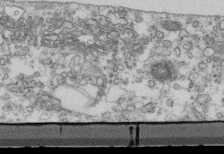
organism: Mouse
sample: Cilia; retinal pigment epithelium